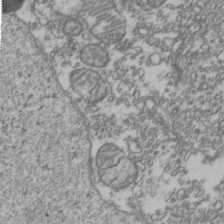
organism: Human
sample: Activated Jurkat CD4+ T cells